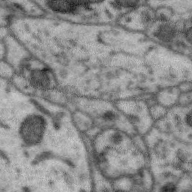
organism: Zebra finch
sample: Brain